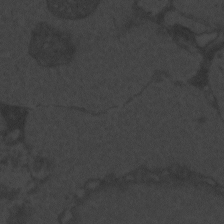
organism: Zebrafish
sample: Macrophage infected with Toxoplasma gondii